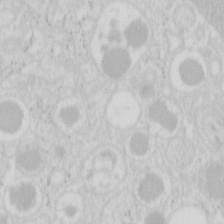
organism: Mouse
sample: Pancreas